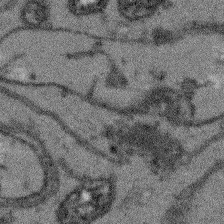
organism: Arabidopsis thaliana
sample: Root tip